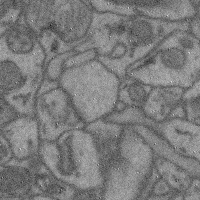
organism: Mouse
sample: Cerebral cortex